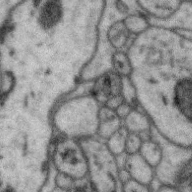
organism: Zebra finch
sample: Brain